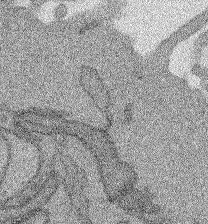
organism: Human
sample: HeLa cells